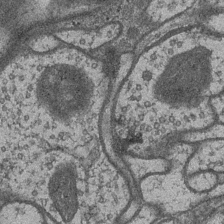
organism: Drosophila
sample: Optic medulla